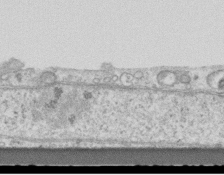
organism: Mouse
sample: Centriole in ependymal cells